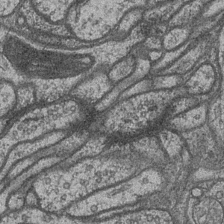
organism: Drosophila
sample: Optic medulla